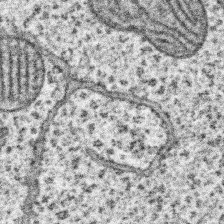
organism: Human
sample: HeLa cells